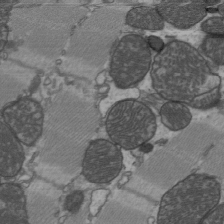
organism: C57BL Mouse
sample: Heart